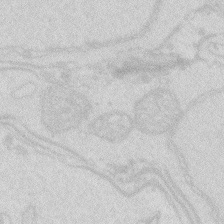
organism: Zebrafish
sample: Macrophage